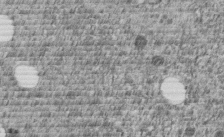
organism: C. elegans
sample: C. elegans embryo early stage